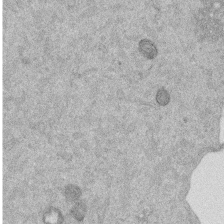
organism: Mouse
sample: Dividing mouse embryo 1 cell stage